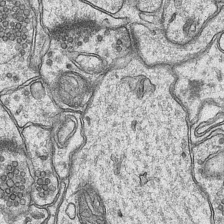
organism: Mouse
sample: CA1 Hippocampus